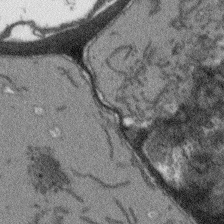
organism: Arabidopsis thaliana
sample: Root tip